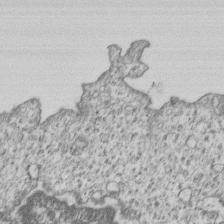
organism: Human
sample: MDA-MB-231 cells